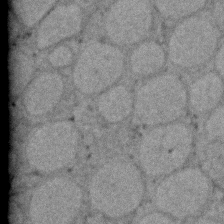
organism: Zebrafish